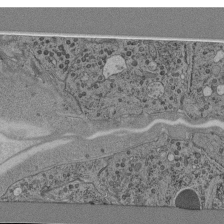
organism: C. elegans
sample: C. elegans pharynx